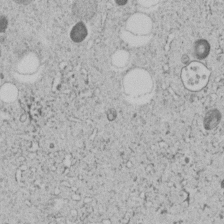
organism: C. elegans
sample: C. elegans embryo early stage